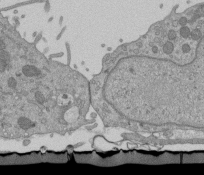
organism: Mouse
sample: ED-1 cell nuclei; centrioles